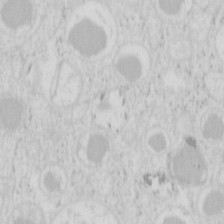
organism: Mouse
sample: Pancreas